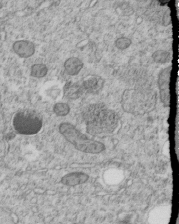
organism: C. elegans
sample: C. elegans embryo early stage